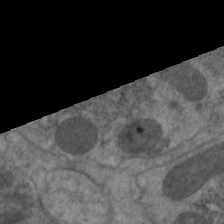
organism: C. elegans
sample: Pharynx